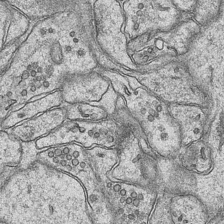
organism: Mouse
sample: CA1 Hippocampus